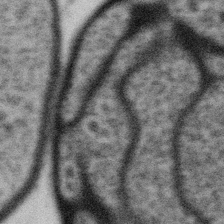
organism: Gemmata obscuriglobus